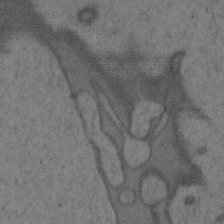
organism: Human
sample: HeLa cells